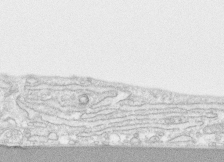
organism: Human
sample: CRL-1474